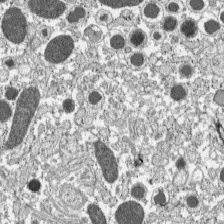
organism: C57BL Mouse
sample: Pancreatic islet